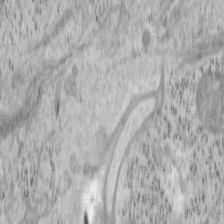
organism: Human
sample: HeLa cells